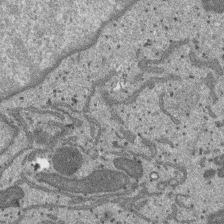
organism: Human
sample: Lung epithelial cells infected with SARS-CoV-2